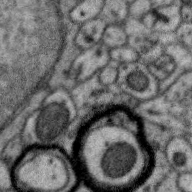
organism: Zebra finch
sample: Brain